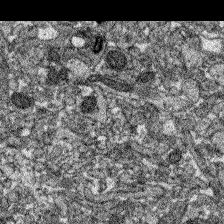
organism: Zebrafish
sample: Larval olfactory bulb